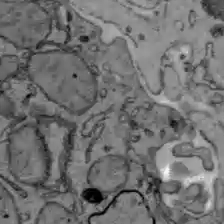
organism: C57BL Mouse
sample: Liver